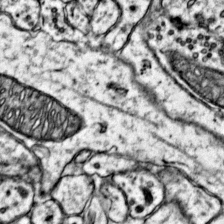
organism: Mouse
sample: Primary visual cortex